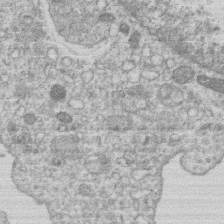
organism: Human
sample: Macrophage cells